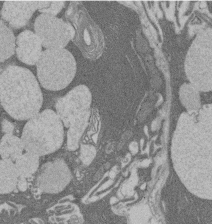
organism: Rat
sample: Salivary granule